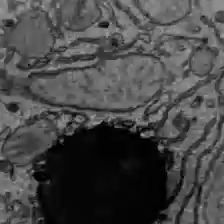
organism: C57BL Mouse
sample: Liver